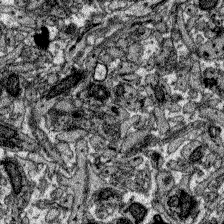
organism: Zebrafish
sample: Larval olfactory bulb